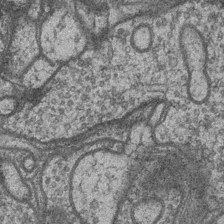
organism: Drosophila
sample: Optic medulla